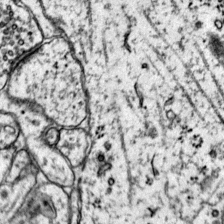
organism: Mouse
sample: Primary visual cortex